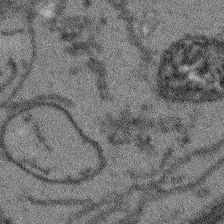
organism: Arabidopsis thaliana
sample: Root tip